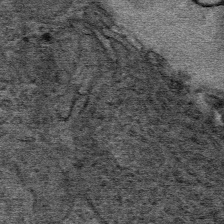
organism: Mouse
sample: Mouse Salivary gland